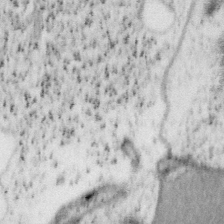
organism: Mouse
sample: OT-I killer T cells with ID8 ovarian cancer cells